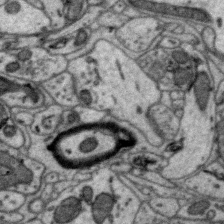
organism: Zebra finch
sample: Brain